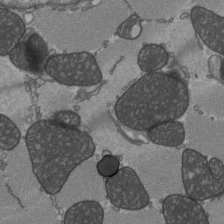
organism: C57BL Mouse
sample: Heart